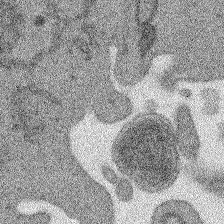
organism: Human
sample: HeLa cells